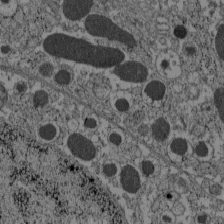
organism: C57BL Mouse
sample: Pancreatic islet